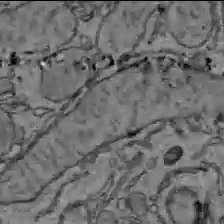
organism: C57BL Mouse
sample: Liver